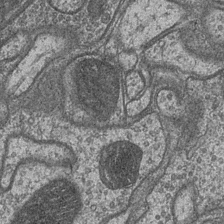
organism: Drosophila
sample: Optic medulla